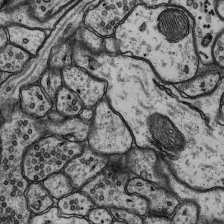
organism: Rat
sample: Hippocampus